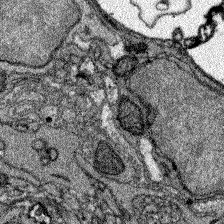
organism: Zebrafish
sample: Larval olfactory bulb